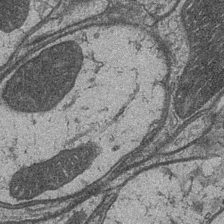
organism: Drosophila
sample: Optic medulla